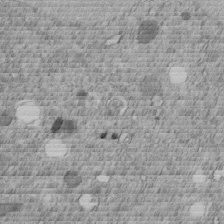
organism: C. elegans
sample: C. elegans embryo early stage